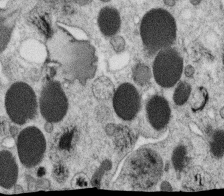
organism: C. elegans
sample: C. elegans oocyte; sperm cells